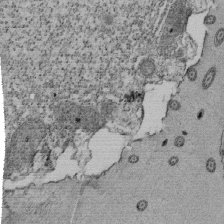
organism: Tetrahymena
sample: Cilia in tetrahymena